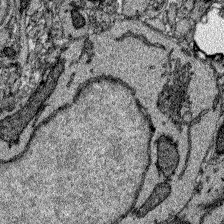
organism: Zebrafish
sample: Larval olfactory bulb